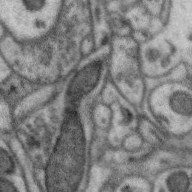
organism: Zebra finch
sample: Brain